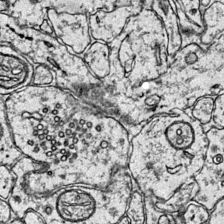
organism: Mouse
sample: Primary visual cortex